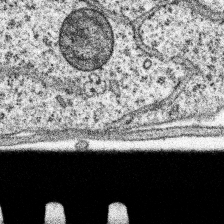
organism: Human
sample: HeLa cells